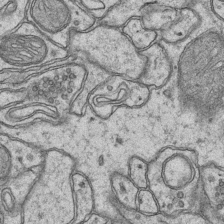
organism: Mouse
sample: CA1 Hippocampus